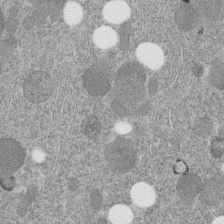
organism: C. elegans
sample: C. elegans embryo early stage